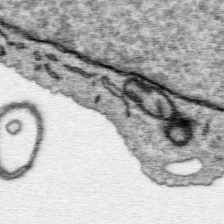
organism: Human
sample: HeLa cells